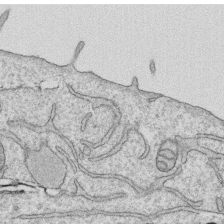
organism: Human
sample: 1205lu cells